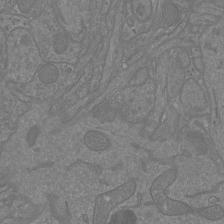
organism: Mouse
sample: Cortical neurons